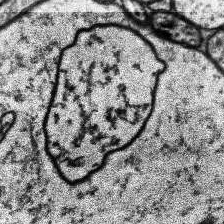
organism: Human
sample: Temporal Lobe